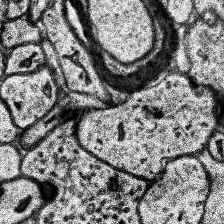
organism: Human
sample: Temporal Lobe